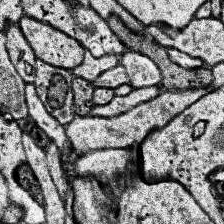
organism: Human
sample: Temporal Lobe